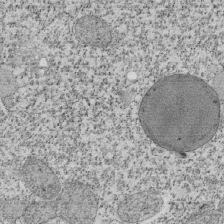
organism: Tetrahymena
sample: Cilia in tetrahymena